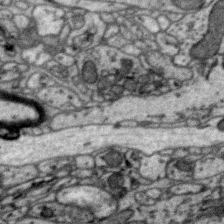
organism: Zebra finch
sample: Brain